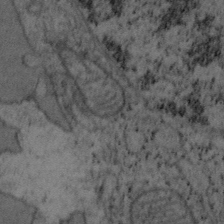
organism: Human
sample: HeLa cells